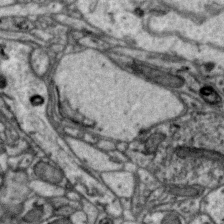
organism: Zebra finch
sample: Brain